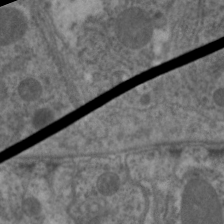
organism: C. elegans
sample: Pharynx